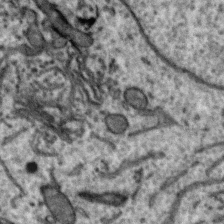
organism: Zebra finch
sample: Brain